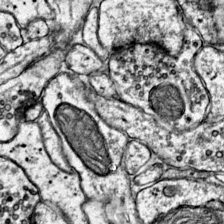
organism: Mouse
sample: Primary visual cortex